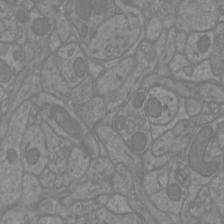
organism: Mouse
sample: Cortical neurons